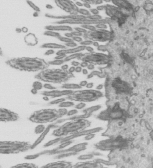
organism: Mouse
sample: Mouse epididymis efferent ductule cilia